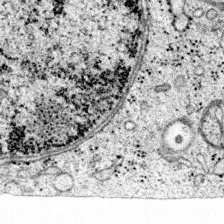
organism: Human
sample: HeLa cells